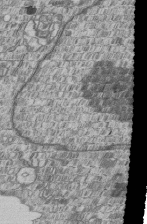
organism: Human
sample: MDA-MB-231 cells